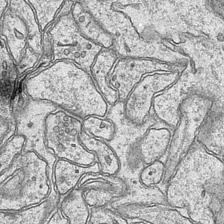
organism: Mouse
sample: CA1 Hippocampus